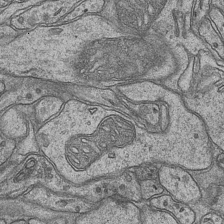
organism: Mouse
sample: CA1 Hippocampus